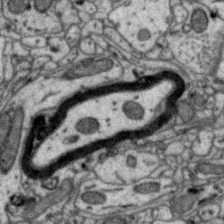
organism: Zebra finch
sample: Brain